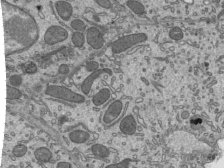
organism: Mouse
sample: Mouse epididymis efferent ductule cilia